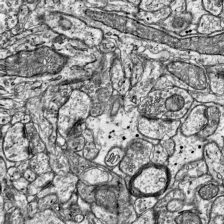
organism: Mouse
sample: Visual Cortex